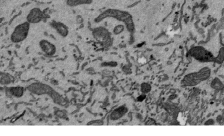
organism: Mouse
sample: ED-1 cell nuclei; centrioles